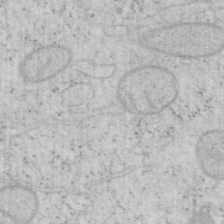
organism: Human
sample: HeLa cells